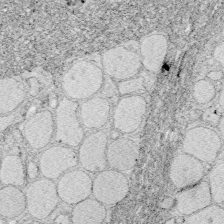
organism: Zebrafish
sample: Whole-Brain